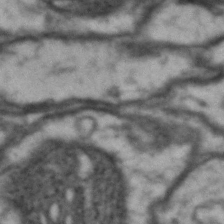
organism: Drosophila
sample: Brain